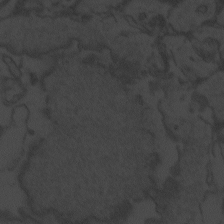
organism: Zebrafish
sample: Macrophage infected with Toxoplasma gondii